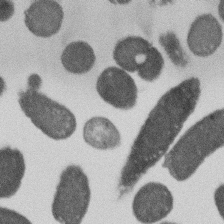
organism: E. coli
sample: Bacterial nucleoid